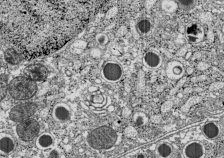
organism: C57BL Mouse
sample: Pancreatic islet